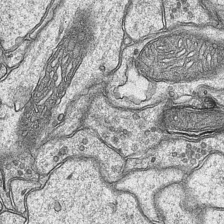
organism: Mouse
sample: CA1 Hippocampus